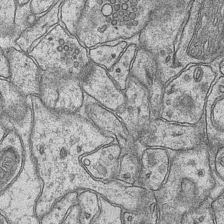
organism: Mouse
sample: CA1 Hippocampus